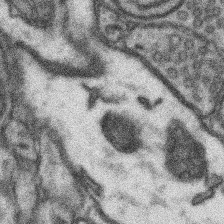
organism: Mouse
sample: Somatosensory cortex neuropil